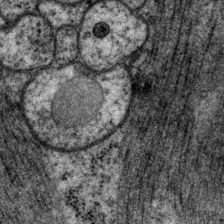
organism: P. pacificus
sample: Pharynx